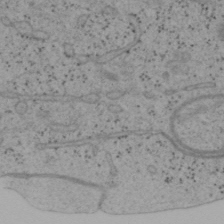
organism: Human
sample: HeLa cells